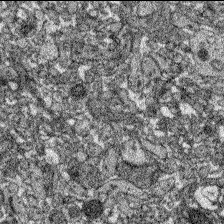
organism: Zebrafish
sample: Larval olfactory bulb